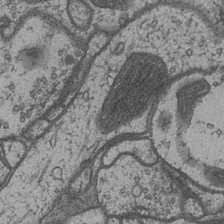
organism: Drosophila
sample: Optic medulla